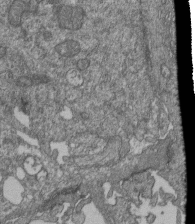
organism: Human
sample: Retinal organoid Rod and Cone cells